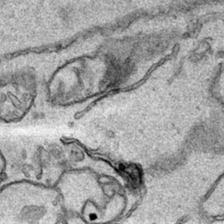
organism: Human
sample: Mitochondria in HCT116 cells